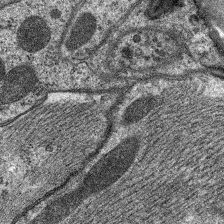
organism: C. elegans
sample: Pharynx